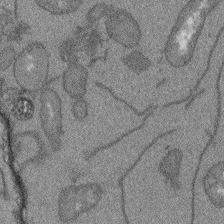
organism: Arabidopsis thaliana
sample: Root tip